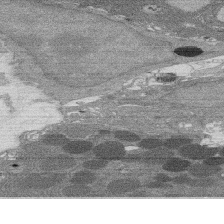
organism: Rat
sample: Salivary granule